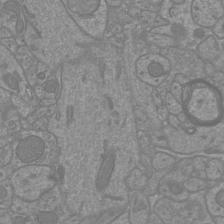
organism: Mouse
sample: Cortical neurons